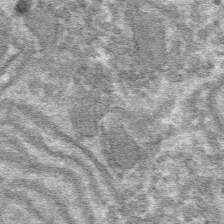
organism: Mouse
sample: Mouse hepatocytes